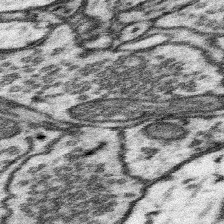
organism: Mouse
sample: Somatosensory cortex neuropil